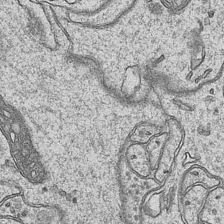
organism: Mouse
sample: CA1 Hippocampus